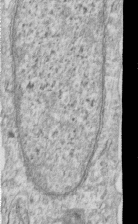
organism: Human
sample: Centriole in RPE cells